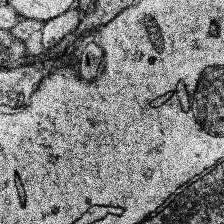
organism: Human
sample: Temporal Lobe